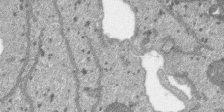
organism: Human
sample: Lung epithelial cells infected with SARS-CoV-2